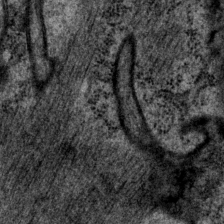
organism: P. pacificus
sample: Pharynx